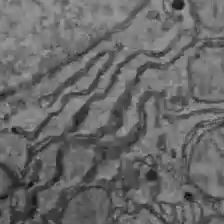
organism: C57BL Mouse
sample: Liver